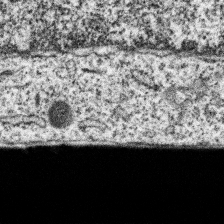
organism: Human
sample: HeLa cells